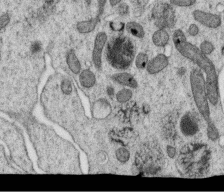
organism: C. elegans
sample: C. elegans oocyte; sperm cells